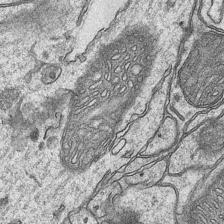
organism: Mouse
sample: CA1 Hippocampus